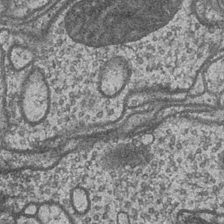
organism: Drosophila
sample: Optic medulla